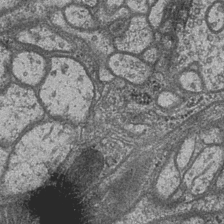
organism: Drosophila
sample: Optic medulla